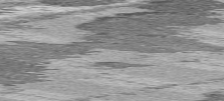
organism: C57BL Mouse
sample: Heart